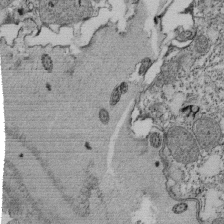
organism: Tetrahymena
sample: Cilia in tetrahymena